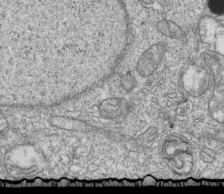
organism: Human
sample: HeLa cell HIV synapse